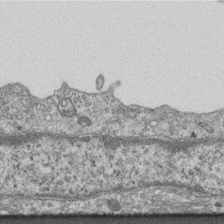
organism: Mouse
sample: Centriole in ependymal cells